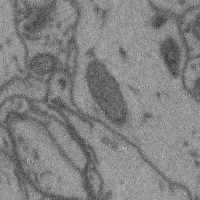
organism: Mouse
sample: Cerebral cortex